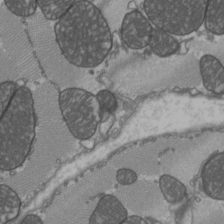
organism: C57BL Mouse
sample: Heart